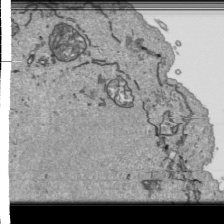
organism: Human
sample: Mitochondria in HCT116 cells